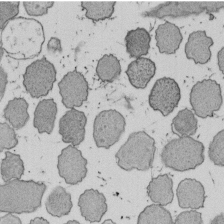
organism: E. coli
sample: Bacterial nucleoid